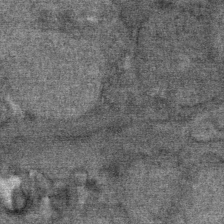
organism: Mouse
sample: Mouse Salivary gland